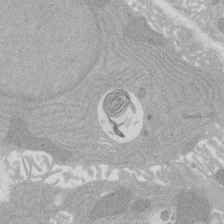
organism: Rat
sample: Salivary granule